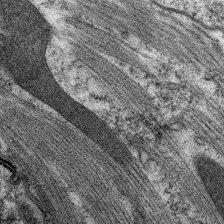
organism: C. elegans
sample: Pharynx